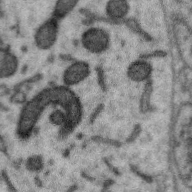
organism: Zebra finch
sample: Brain